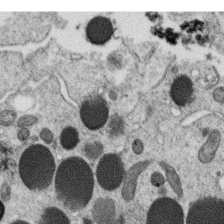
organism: C. elegans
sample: C. elegans oocyte; sperm cells